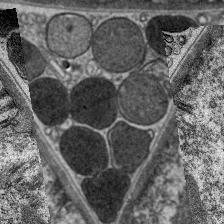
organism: C. elegans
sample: Pharynx